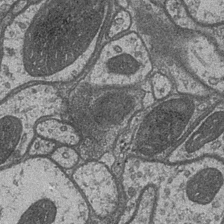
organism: Drosophila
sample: Optic medulla